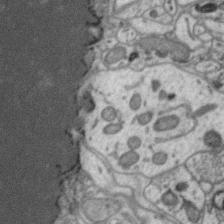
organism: Zebra finch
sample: Brain